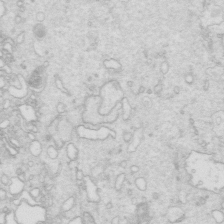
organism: Mouse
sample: Multiciliated cells